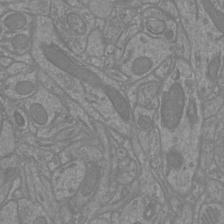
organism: Mouse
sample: Cortical neurons